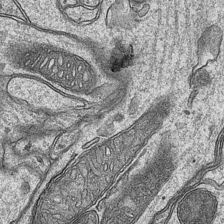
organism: Mouse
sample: CA1 Hippocampus